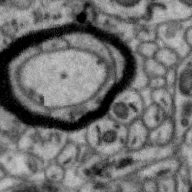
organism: Zebra finch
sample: Brain